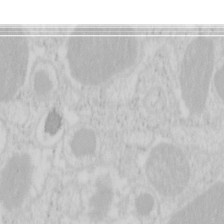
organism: Mouse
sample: Pancreas